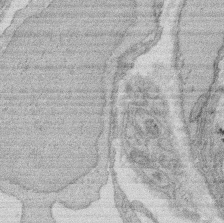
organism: Rat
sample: Salivary granule